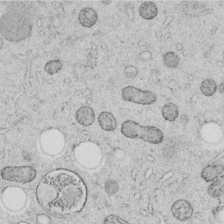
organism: C. elegans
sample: C. elegans embryo early stage